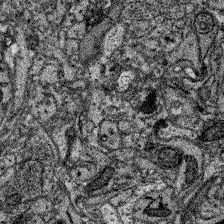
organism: Zebrafish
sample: Larval olfactory bulb